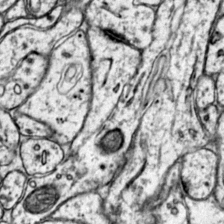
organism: Mouse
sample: Primary visual cortex